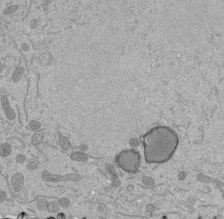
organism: Mouse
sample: ED-1 cell nuclei; centrioles